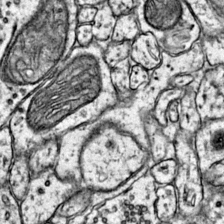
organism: Mouse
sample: Primary visual cortex